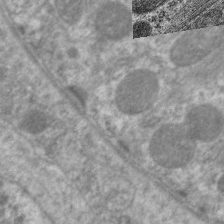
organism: C. elegans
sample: Pharynx